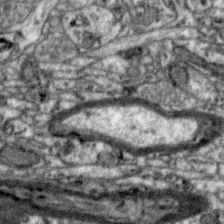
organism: Zebra finch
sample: Brain